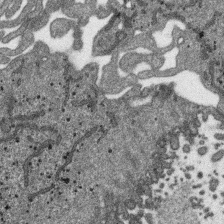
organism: Human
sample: Lung epithelial cells infected with SARS-CoV-2